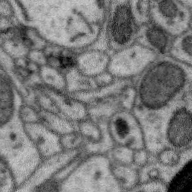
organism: Zebra finch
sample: Brain